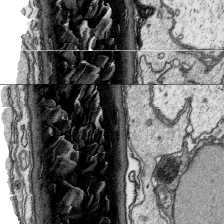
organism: Platynereis dumerilii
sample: Parapodia